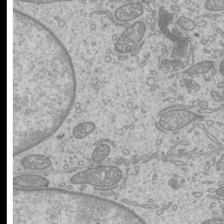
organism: Mouse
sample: Cilia; mouse epididymis